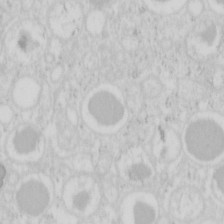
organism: Mouse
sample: Pancreas